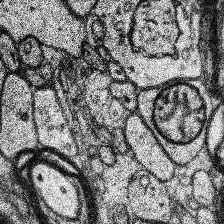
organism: Human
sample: Temporal Lobe